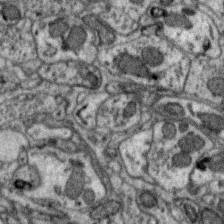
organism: Zebra finch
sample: Brain